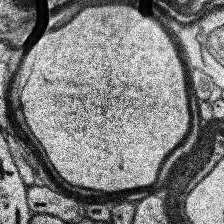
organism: Human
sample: Temporal Lobe